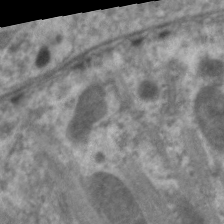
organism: C. elegans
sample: Pharynx